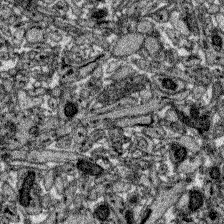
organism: Zebrafish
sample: Larval olfactory bulb